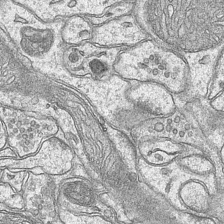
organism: Mouse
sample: CA1 Hippocampus